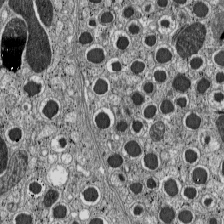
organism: C57BL Mouse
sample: Pancreatic islet